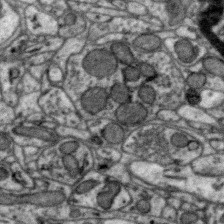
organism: Zebra finch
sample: Brain